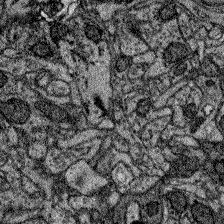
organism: Zebrafish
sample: Larval olfactory bulb